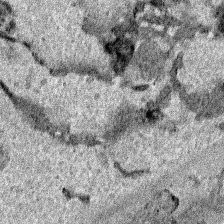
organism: Human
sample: Mitochondria in HCT116 cells